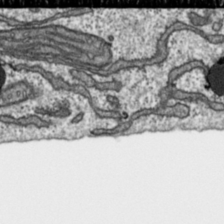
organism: Toxoplasma gondii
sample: Parasites in a vacuole inside a host cell